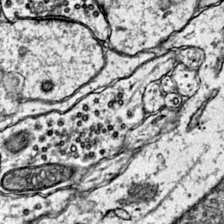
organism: Mouse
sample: Primary visual cortex